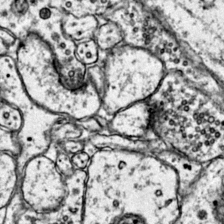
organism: Mouse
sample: Primary visual cortex